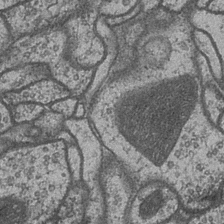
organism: Drosophila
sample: Optic medulla